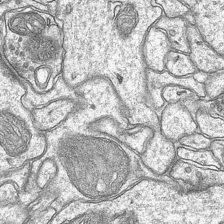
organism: Mouse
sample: CA1 Hippocampus